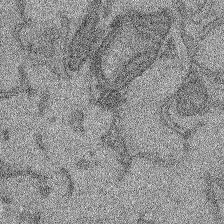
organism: Human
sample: HeLa cells